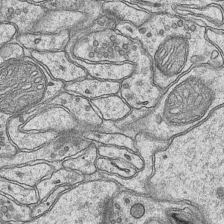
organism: Mouse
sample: CA1 Hippocampus